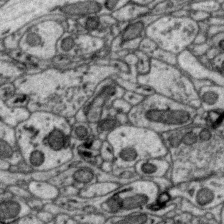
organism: Zebra finch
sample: Brain